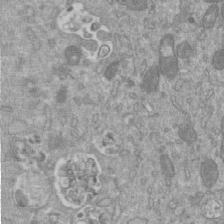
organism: Mouse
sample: ED-1 cell nuclei; centrioles